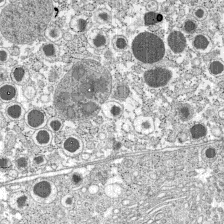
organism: C57BL Mouse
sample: Pancreatic islet